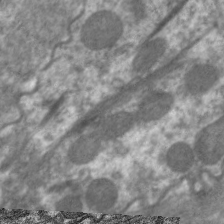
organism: C. elegans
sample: Pharynx